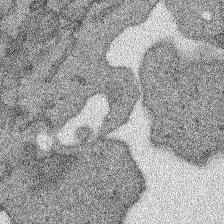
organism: Human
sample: HeLa cells